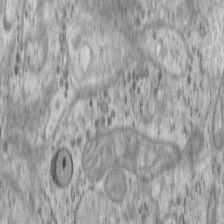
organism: Human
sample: HeLa cells